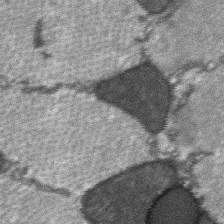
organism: C57BL Mouse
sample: Soleus